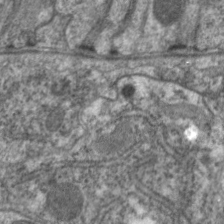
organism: C. elegans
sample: Pharynx